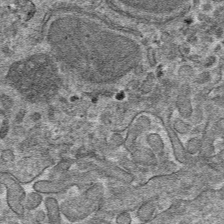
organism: Mouse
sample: Mouse hepatocytes